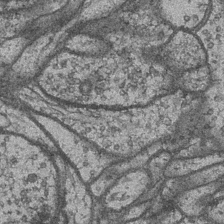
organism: Drosophila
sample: Optic medulla